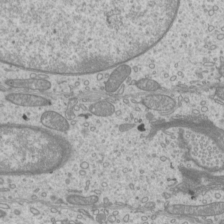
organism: Mouse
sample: Cilia; mouse epididymis